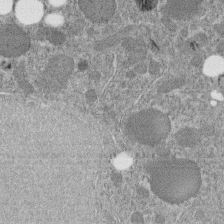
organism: C. elegans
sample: C. elegans embryo early stage